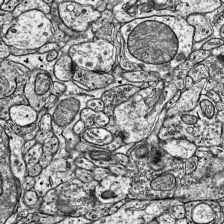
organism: Mouse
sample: Visual Cortex